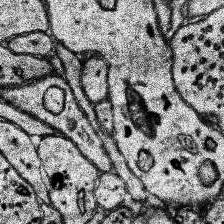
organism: Human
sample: Temporal Lobe